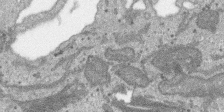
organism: Human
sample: Lung epithelial cells infected with SARS-CoV-2